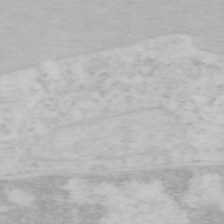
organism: Mouse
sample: OT-I killer T cells with ID8 ovarian cancer cells